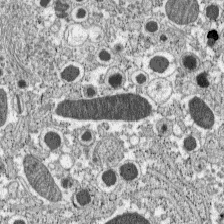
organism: C57BL Mouse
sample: Pancreatic islet